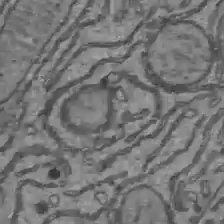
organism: C57BL Mouse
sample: Liver